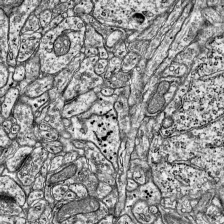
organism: Mouse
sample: Visual Cortex